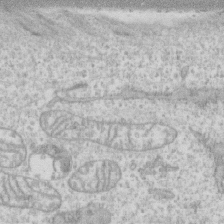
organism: Human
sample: CRL-1474